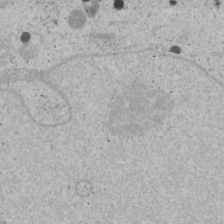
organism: Human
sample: Mitochondria in U2OS cells